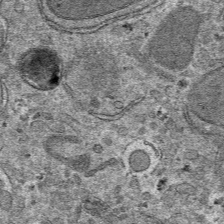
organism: Mouse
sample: Mouse hepatocytes